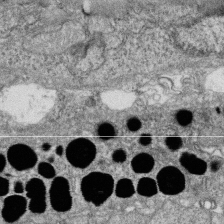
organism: Zebrafish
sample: Cilia; retinal pigment epithelium